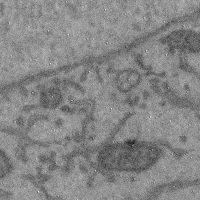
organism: Mouse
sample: Cerebral cortex